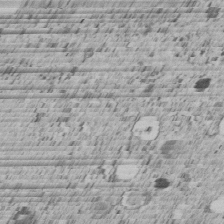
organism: C. elegans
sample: C. elegans embryo early stage